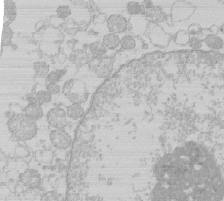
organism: Human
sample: Macrophage cells